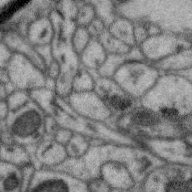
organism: Zebra finch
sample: Brain